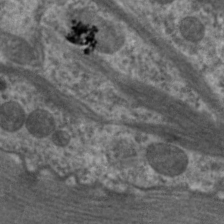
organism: C. elegans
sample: Pharynx